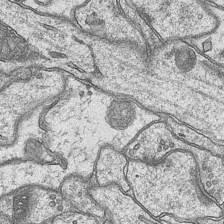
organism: Mouse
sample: CA1 Hippocampus